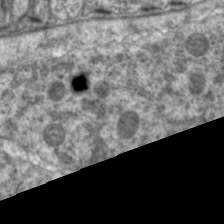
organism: C. elegans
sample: Pharynx